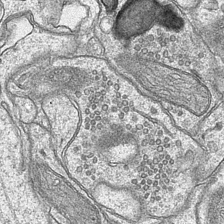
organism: Mouse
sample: CA1 Hippocampus